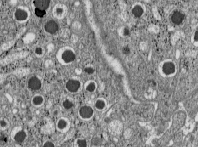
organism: C57BL Mouse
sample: Pancreatic islet